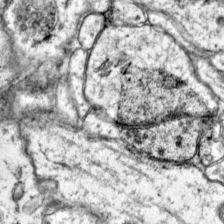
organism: Mouse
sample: Primary visual cortex